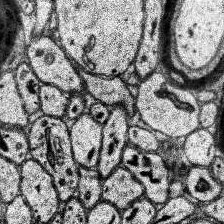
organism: Human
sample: Temporal Lobe